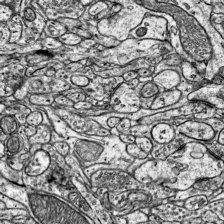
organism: Mouse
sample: Visual Cortex